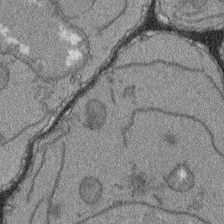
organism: Arabidopsis thaliana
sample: Root tip